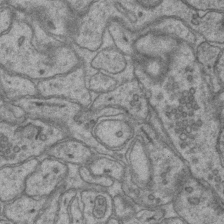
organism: Mouse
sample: CA1 Hippocampus